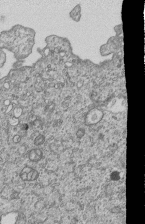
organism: Human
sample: MDA-MB-231 cells